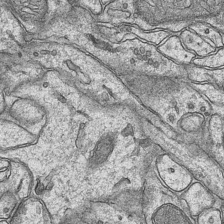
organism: Mouse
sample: CA1 Hippocampus